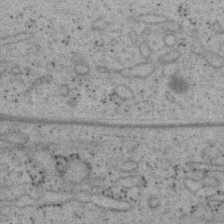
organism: Human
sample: HeLa cells